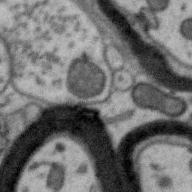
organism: Zebra finch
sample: Brain